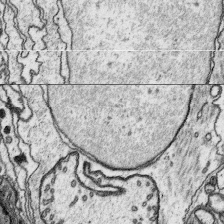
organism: Platynereis dumerilii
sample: Parapodia